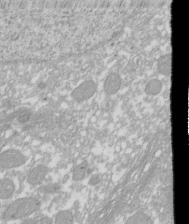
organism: Xenopus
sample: Cilia; centrioles in frog embryo cells